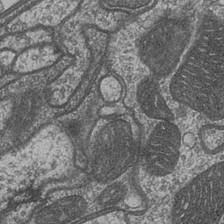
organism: Drosophila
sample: Optic medulla